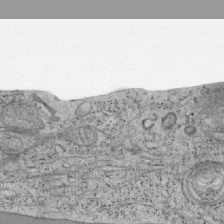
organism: Human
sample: HeLa cells